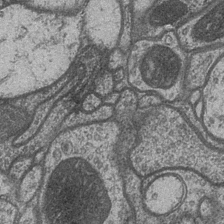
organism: Drosophila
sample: Optic medulla